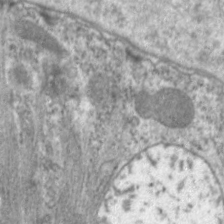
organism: C. elegans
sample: Pharynx